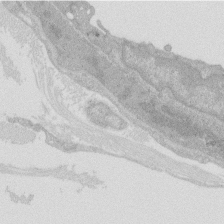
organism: Rat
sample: Salivary granule